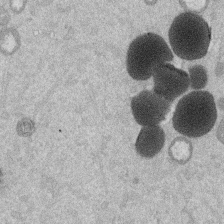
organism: Mouse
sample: Dividing mouse embryo 1 cell stage